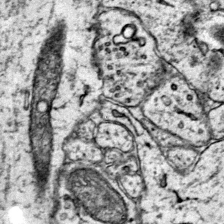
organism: Mouse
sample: Primary visual cortex